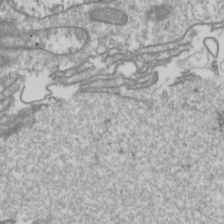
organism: Drosophila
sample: Cell division; meiosis; drosophila spermatocytes